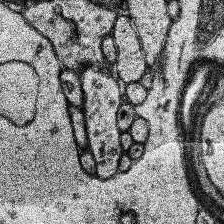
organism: Human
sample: Temporal Lobe